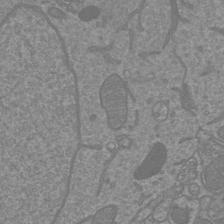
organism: Mouse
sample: Cortical neurons